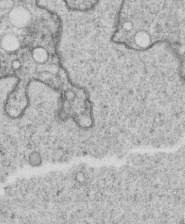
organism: C. elegans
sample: C. elegans oocyte; sperm cells